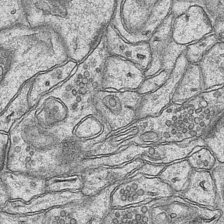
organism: Mouse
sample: CA1 Hippocampus